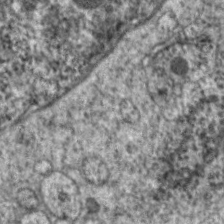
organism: C. elegans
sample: Pharynx